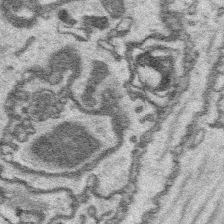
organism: Platynereis dumerilii